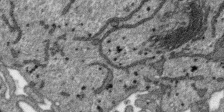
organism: Human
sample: Lung epithelial cells, uninfected (mock) control